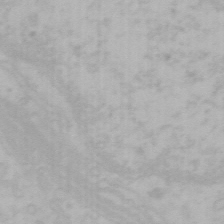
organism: Mouse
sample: Choroid plexus